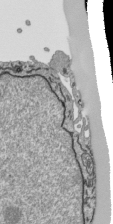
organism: Human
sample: Mitochondria in HCT116 cells